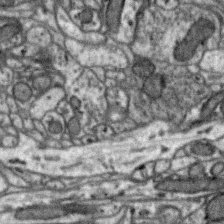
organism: Zebra finch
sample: Brain